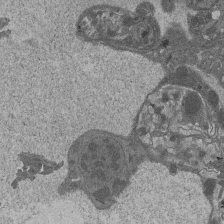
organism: Drosophila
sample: Antenna